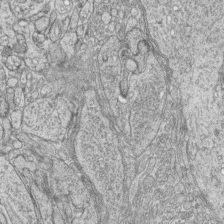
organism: Zebrafish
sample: synaptic ribbons in rod cells and cone cells